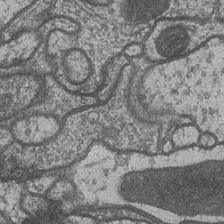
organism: Drosophila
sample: Optic medulla